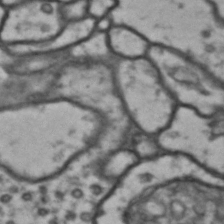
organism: Drosophila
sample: Brain